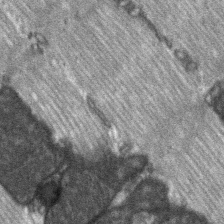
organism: C57BL Mouse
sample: Soleus